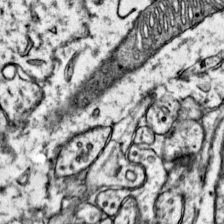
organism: Mouse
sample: Primary visual cortex